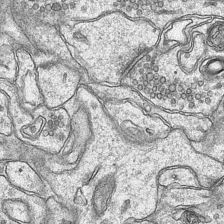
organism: Mouse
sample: CA1 Hippocampus